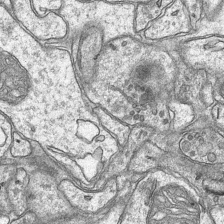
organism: Mouse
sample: CA1 Hippocampus